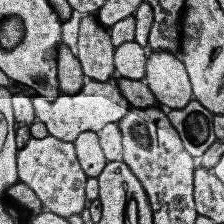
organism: Human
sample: Temporal Lobe